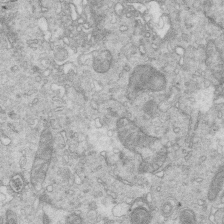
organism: Mouse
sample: Multiciliated cells